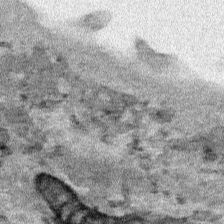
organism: Human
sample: Mitochondria in HCT116 cells